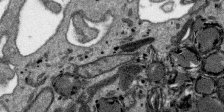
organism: Human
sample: Lung epithelial cells, uninfected (mock) control